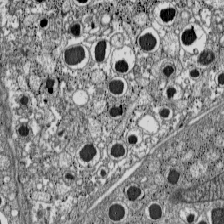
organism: C57BL Mouse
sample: Pancreatic islet